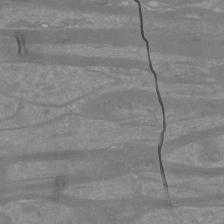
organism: Mouse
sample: Cortical neurons